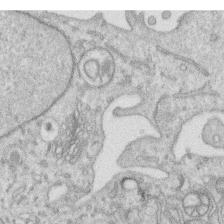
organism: Human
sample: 1205lu cells